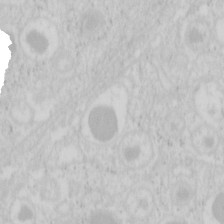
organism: Mouse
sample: Pancreas